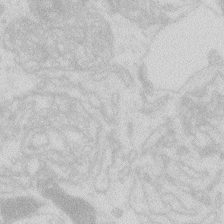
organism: Zebrafish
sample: Macrophage